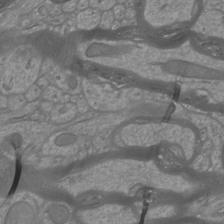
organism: Mouse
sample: Cortical neurons